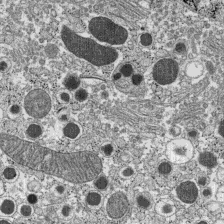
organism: C57BL Mouse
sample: Pancreatic islet